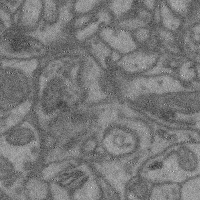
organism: Mouse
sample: Cerebral cortex